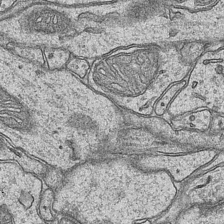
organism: Mouse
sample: CA1 Hippocampus